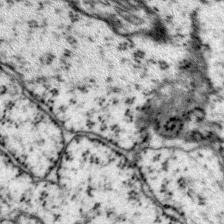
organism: Mouse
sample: Primary visual cortex